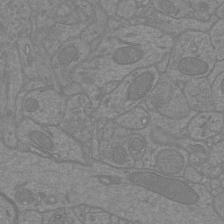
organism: Mouse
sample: Cortical neurons